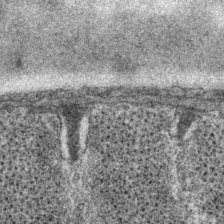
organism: P. pacificus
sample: Pharynx